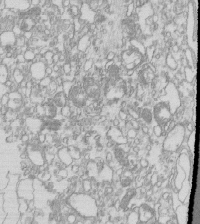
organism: Mouse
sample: Macrophages